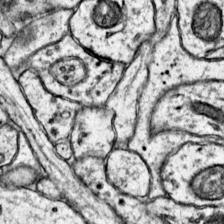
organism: Mouse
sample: Primary visual cortex